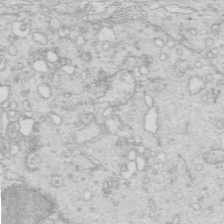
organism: Mouse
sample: Multiciliated cells